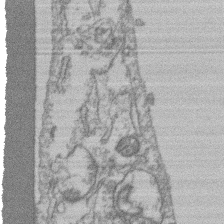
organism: Mouse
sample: T cell stromal cell synapse